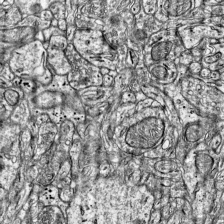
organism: Mouse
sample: Visual Cortex